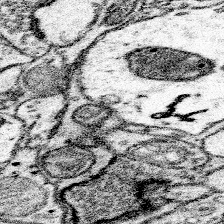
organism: Mouse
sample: Somatosensory cortex neuropil